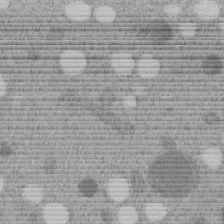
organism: C. elegans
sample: C. elegans embryo early stage